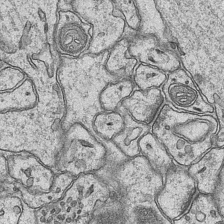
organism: Mouse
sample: CA1 Hippocampus